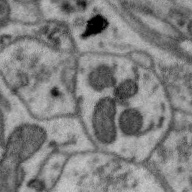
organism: Zebra finch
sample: Brain